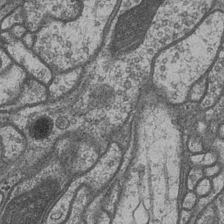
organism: Drosophila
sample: Optic medulla